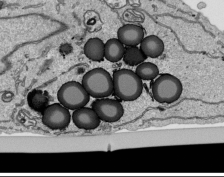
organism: Human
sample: Mitochondria in HCT116 cells